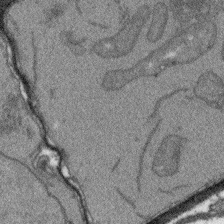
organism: Arabidopsis thaliana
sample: Root tip